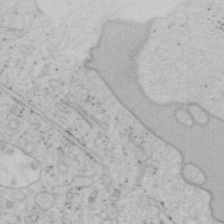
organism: Human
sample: HeLa cells